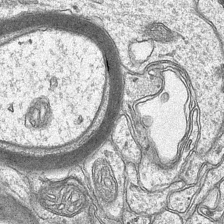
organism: Mouse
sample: CA1 Hippocampus